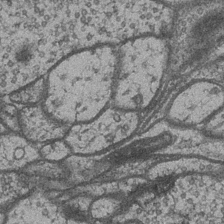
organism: Drosophila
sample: Optic medulla